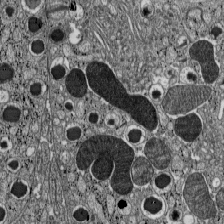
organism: C57BL Mouse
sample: Pancreatic islet